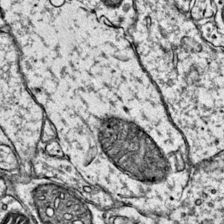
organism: Mouse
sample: Primary visual cortex